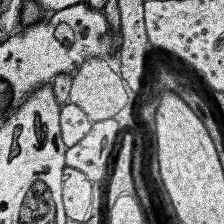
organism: Human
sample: Temporal Lobe